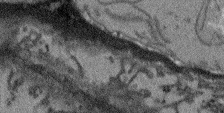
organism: Arabidopsis thaliana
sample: Root tip